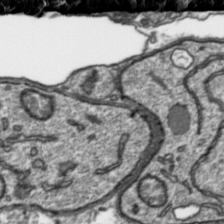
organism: Toxoplasma gondii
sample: Parasites in a vacuole inside a host cell